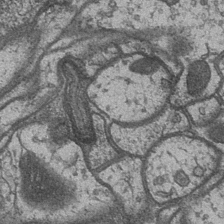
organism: Drosophila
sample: Optic medulla